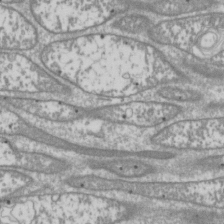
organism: Drosophila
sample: Cell division; meiosis; drosophila spermatocytes